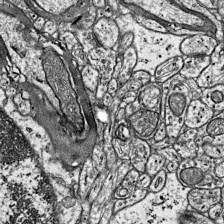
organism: Mouse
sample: Visual Cortex